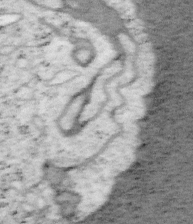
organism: Mouse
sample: OT-I killer T cells with ID8 ovarian cancer cells